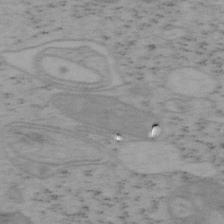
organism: Mouse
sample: OT-I killer T cells with ID8 ovarian cancer cells